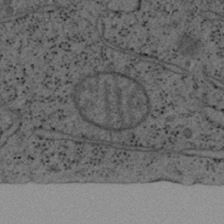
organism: Human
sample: HeLa cells